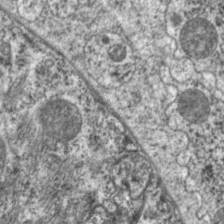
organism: C. elegans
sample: Pharynx